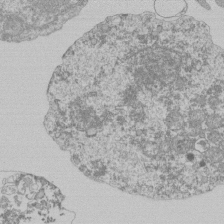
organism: Mouse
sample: Activated Pmel transgenic CD8+ T Cells